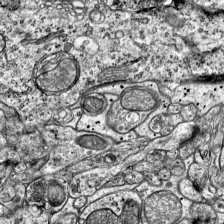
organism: Mouse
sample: Visual Cortex